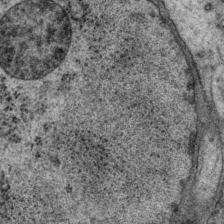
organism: P. pacificus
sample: Pharynx